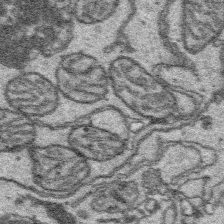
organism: Platynereis dumerilii